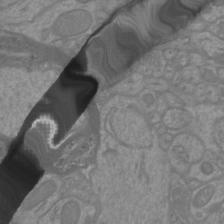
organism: Mouse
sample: Cortical neurons